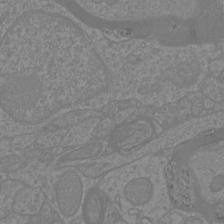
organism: Mouse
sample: Cortical neurons